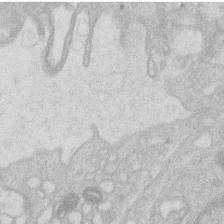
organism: Human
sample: Macrophage cells